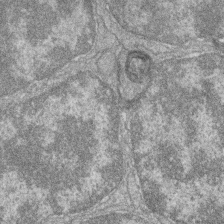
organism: Zebrafish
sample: Cilia; retinal pigment epithelium